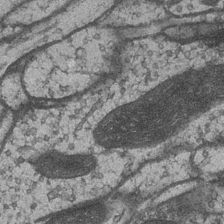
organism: Drosophila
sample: Optic medulla